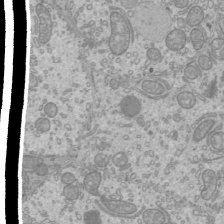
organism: Mouse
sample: Cilia; mouse epididymis